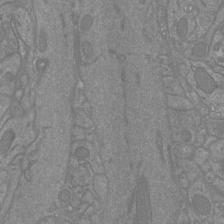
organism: Mouse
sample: Cortical neurons